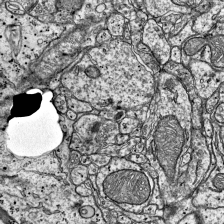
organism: Mouse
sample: Visual Cortex